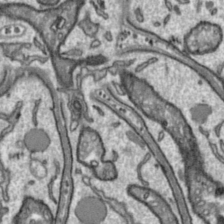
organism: Toxoplasma gondii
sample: Parasites in a vacuole inside a host cell